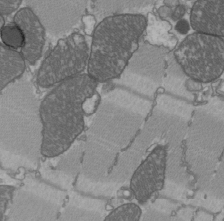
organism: C57BL Mouse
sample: Heart